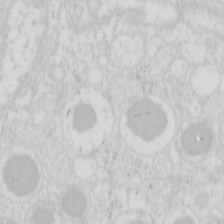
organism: Mouse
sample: Pancreas